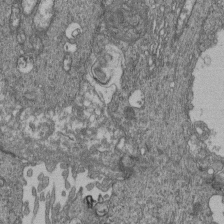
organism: Human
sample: Retinal organoid Rod and Cone cells